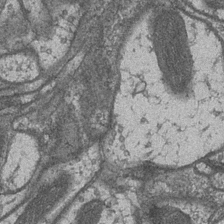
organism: Drosophila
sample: Optic medulla